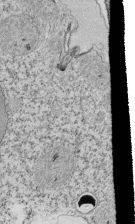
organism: Tetrahymena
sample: Cilia in tetrahymena